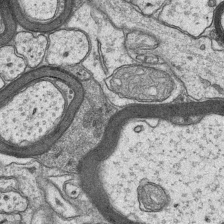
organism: Mouse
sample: CA1 Hippocampus